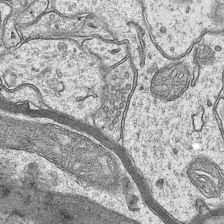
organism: Mouse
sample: CA1 Hippocampus